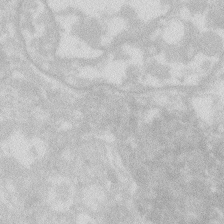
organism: Zebrafish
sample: Macrophage